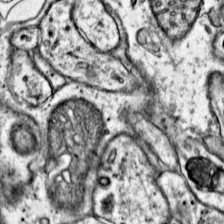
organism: Mouse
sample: Primary visual cortex